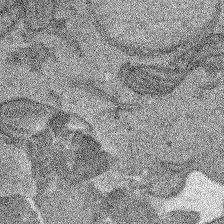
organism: Human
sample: HeLa cells